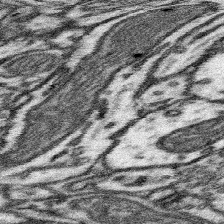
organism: Mouse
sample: Somatosensory cortex neuropil